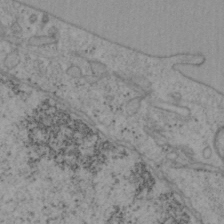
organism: Human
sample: HeLa cells